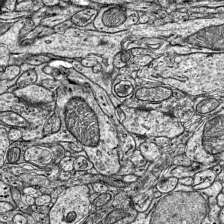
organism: Mouse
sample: Visual Cortex